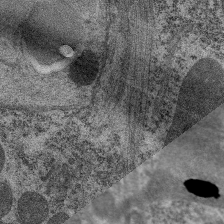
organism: C. elegans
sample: Pharynx